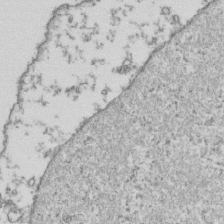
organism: Human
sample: Activated Jurkat CD4+ T cells